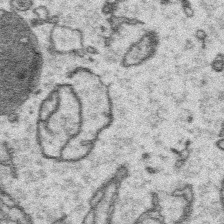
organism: Platynereis dumerilii